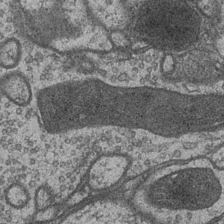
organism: Drosophila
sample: Optic medulla